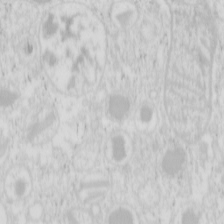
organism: Mouse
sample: Pancreas